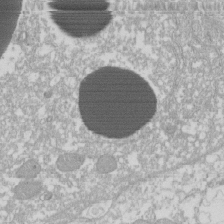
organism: Xenopus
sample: Cilia; centrioles in frog embryo cells